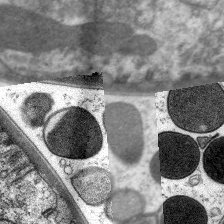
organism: C. elegans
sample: Pharynx